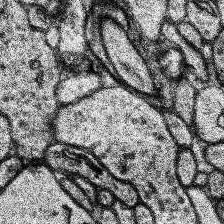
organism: Human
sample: Temporal Lobe